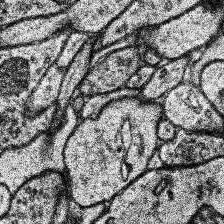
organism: Human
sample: Temporal Lobe